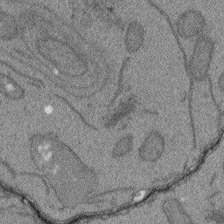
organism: Arabidopsis thaliana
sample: Root tip